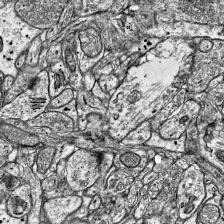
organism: Mouse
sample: Visual Cortex